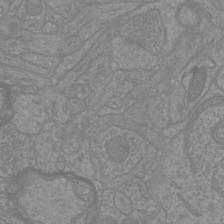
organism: Mouse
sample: Cortical neurons